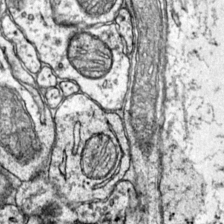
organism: Mouse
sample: Primary visual cortex